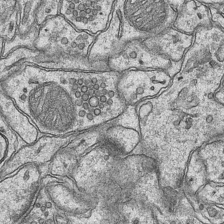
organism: Mouse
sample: CA1 Hippocampus